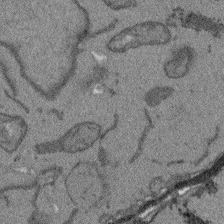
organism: Arabidopsis thaliana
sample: Root tip